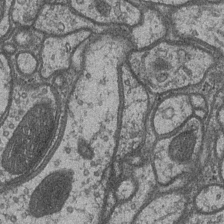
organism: Drosophila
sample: Optic medulla